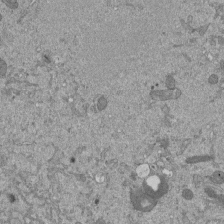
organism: Mouse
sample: ED-1 cell nuclei; centrioles